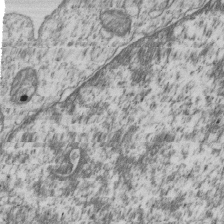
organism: Human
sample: MDA-MB-231 cells